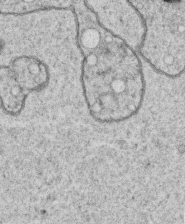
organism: C. elegans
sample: C. elegans oocyte; sperm cells